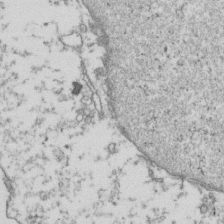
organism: Human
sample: Activated Jurkat CD4+ T cells